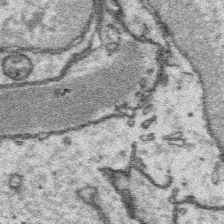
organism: Platynereis dumerilii